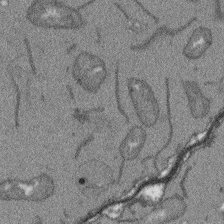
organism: Arabidopsis thaliana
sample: Root tip